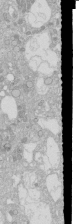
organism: Human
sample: Caco-2 cells